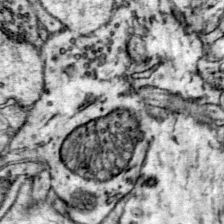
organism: Mouse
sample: Primary visual cortex